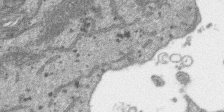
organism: Human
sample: Lung epithelial cells infected with SARS-CoV-2